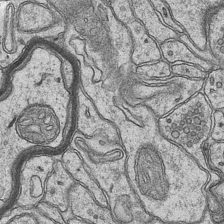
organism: Mouse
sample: CA1 Hippocampus